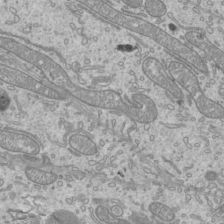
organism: Mouse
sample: Cilia; mouse epididymis